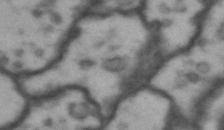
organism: Drosophila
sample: Brain